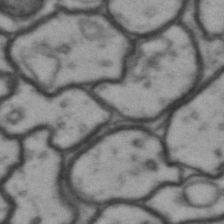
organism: Drosophila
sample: Brain